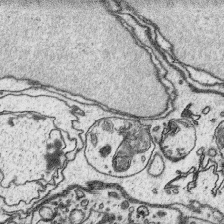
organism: Platynereis dumerilii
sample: Parapodia